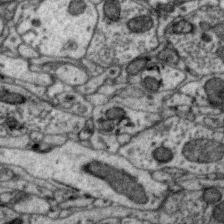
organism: Zebra finch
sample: Brain